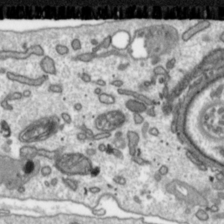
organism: Toxoplasma gondii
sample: Parasites in a vacuole inside a host cell